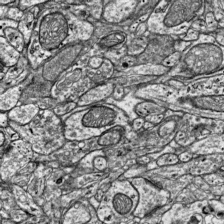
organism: Mouse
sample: Visual Cortex